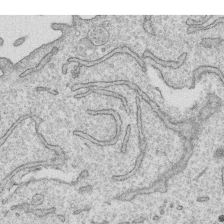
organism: Human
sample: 1205lu cells